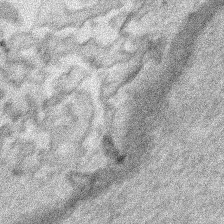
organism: Human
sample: Mitochondria in HCT116 cells